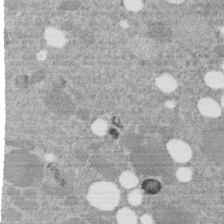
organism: C. elegans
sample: C. elegans embryo early stage